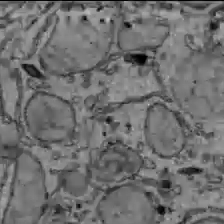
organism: C57BL Mouse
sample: Liver